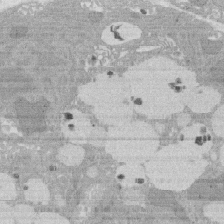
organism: Rat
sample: Salivary granule